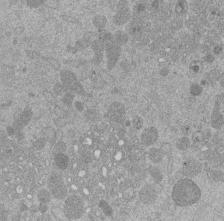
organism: Mouse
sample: Dividing mouse embryo 1 cell stage